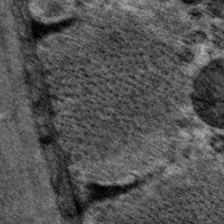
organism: P. pacificus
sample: Pharynx